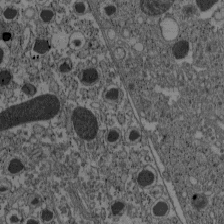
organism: C57BL Mouse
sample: Pancreatic islet